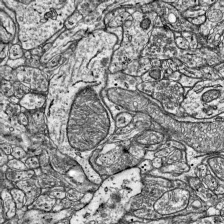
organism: Mouse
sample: Visual Cortex